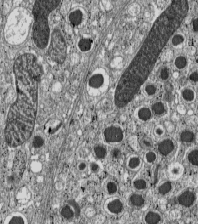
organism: C57BL Mouse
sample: Pancreatic islet